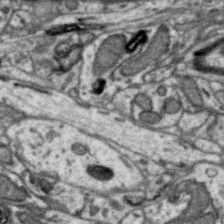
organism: Zebra finch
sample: Brain